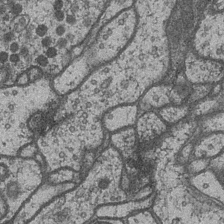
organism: Drosophila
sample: Optic medulla